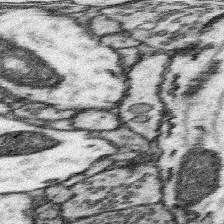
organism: Mouse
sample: Somatosensory cortex neuropil